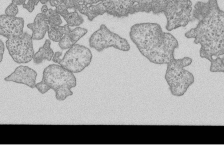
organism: Human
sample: MDA-MB-231 cells